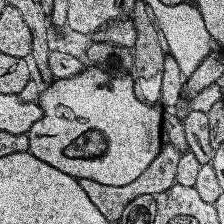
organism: Human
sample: Temporal Lobe